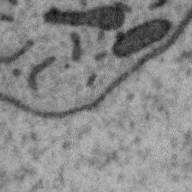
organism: Zebra finch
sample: Brain